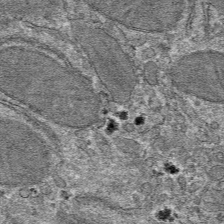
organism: Mouse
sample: Mouse hepatocytes